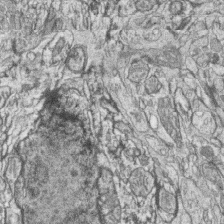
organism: Zebrafish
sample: synaptic ribbons in rod cells and cone cells